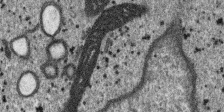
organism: Human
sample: Lung epithelial cells infected with SARS-CoV-2